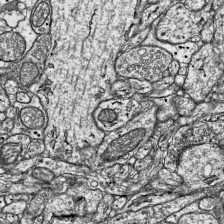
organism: Mouse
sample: Visual Cortex